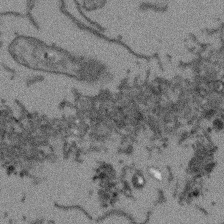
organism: Arabidopsis thaliana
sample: Root tip